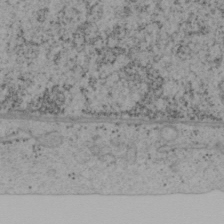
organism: Human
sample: HeLa cells